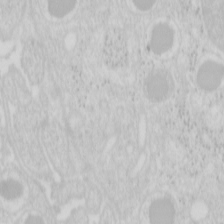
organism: Mouse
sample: Pancreas